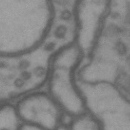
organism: Drosophila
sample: Brain